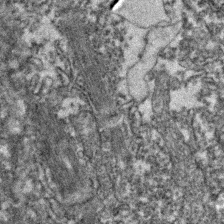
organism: Zebrafish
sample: Zebrafish embryo